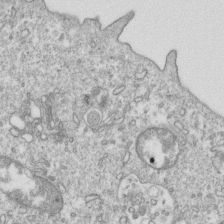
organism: Mouse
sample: Activated OT-1 CD8+ T cells